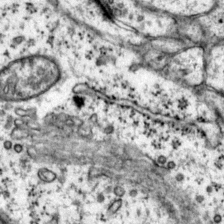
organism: Mouse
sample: Primary visual cortex